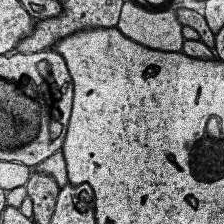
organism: Human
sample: Temporal Lobe